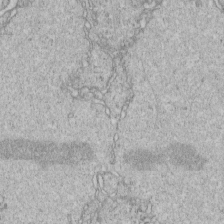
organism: C. elegans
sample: C. elegans embryo early stage